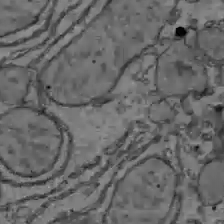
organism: C57BL Mouse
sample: Liver